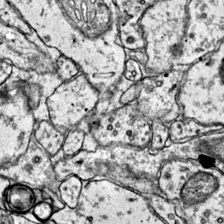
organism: Mouse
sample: Primary visual cortex